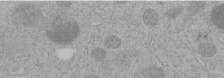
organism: C. elegans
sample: C. elegans embryo early stage